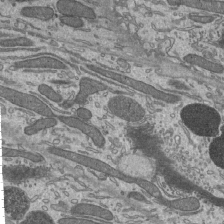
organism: Mouse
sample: Mouse epididymis efferent ductule cilia